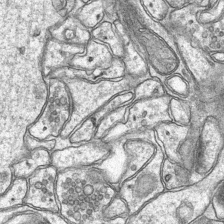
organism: Mouse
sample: CA1 Hippocampus